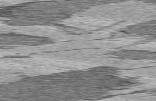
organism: C57BL Mouse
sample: Heart